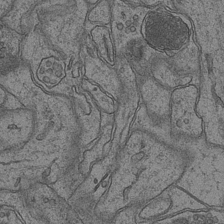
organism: Mouse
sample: CA1 Hippocampus